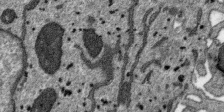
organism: Human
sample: Lung epithelial cells, uninfected (mock) control